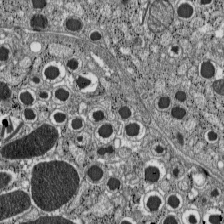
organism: C57BL Mouse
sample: Pancreatic islet